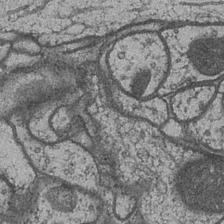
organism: Drosophila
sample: Optic medulla